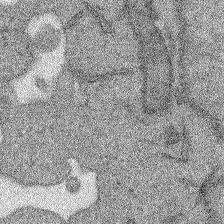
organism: Human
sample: HeLa cells